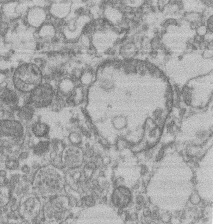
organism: Mouse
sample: T cell stromal cell synapse